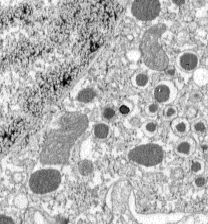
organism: C57BL Mouse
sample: Pancreatic islet